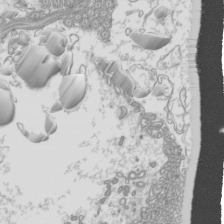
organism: Mouse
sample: Cilia; mouse epididymis